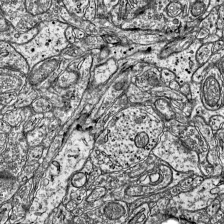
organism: Mouse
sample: Visual Cortex